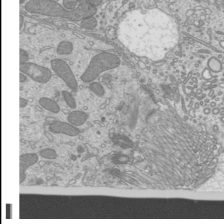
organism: Mouse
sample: Cilia; mouse epididymis